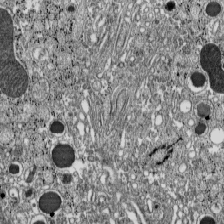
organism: C57BL Mouse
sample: Pancreatic islet